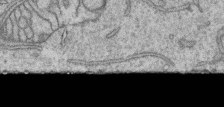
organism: Human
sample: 1205lu cells